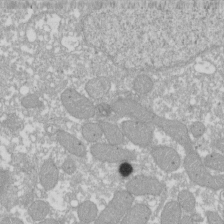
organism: Xenopus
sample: Cilia; centrioles in frog embryo cells